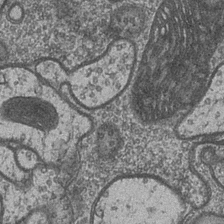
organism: Drosophila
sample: Optic medulla